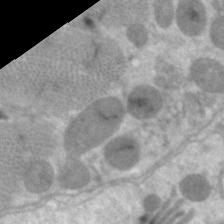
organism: C. elegans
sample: Pharynx